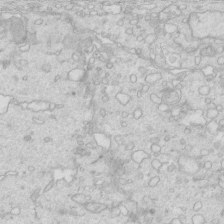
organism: Mouse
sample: Multiciliated cells